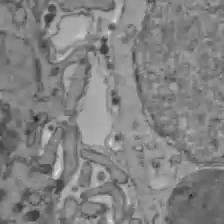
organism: C57BL Mouse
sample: Liver